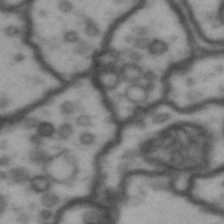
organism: Drosophila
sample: Brain